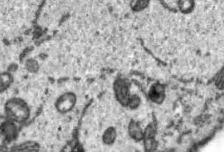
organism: Human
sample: HeLa cells